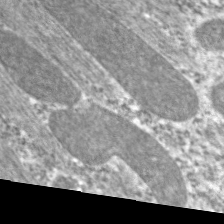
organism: C. elegans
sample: Pharynx